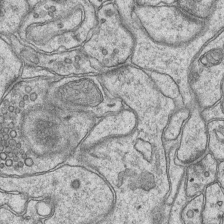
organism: Mouse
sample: CA1 Hippocampus